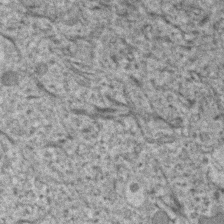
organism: Human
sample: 1205lu cells